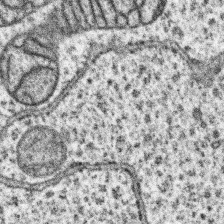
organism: Human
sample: HeLa cells